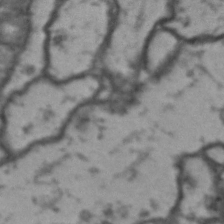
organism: Drosophila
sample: Brain